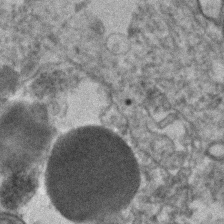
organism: Human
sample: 1205lu cells